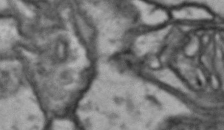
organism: Drosophila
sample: Brain